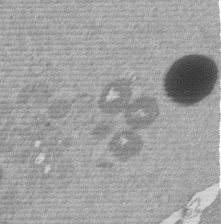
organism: Mouse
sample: Dividing mouse embryo 1 cell stage